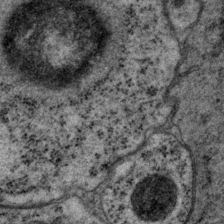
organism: P. pacificus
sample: Pharynx